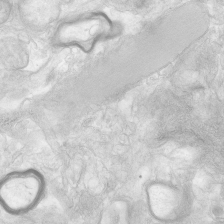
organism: Human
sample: Neocortex